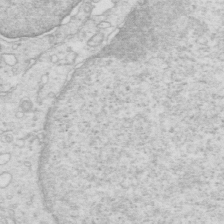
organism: Mouse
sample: Multiciliated cells